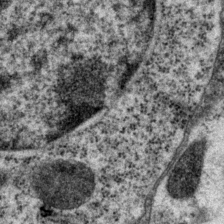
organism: P. pacificus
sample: Pharynx